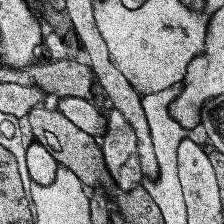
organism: Human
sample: Temporal Lobe